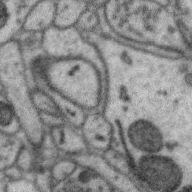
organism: Zebra finch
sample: Brain